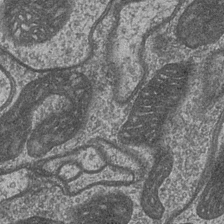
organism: Drosophila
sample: Optic medulla